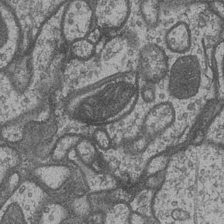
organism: Drosophila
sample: Optic medulla